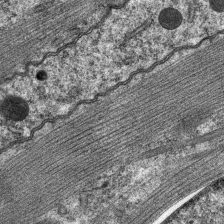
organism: C. elegans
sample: Pharynx